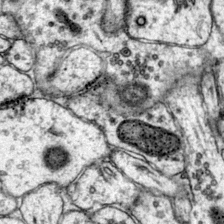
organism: Mouse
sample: Primary visual cortex